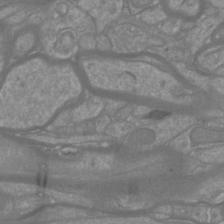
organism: Mouse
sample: Cortical neurons